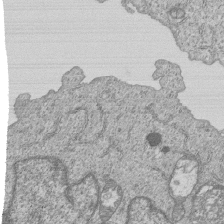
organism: Human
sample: MDA-MB-231 cells